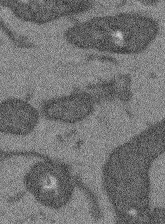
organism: Arabidopsis thaliana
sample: Root tip